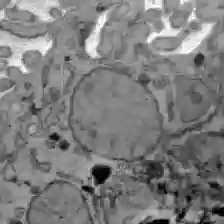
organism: C57BL Mouse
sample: Liver